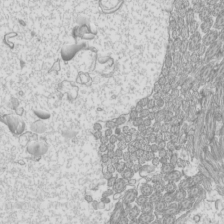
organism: Mouse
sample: Cilia; mouse epididymis